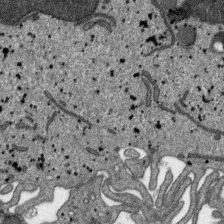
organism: Human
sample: Lung epithelial cells, uninfected (mock) control